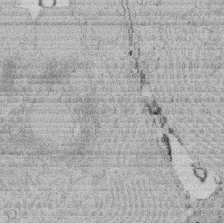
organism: Rat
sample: Salivary granule